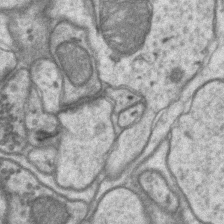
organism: Mouse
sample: CA1 Hippocampus